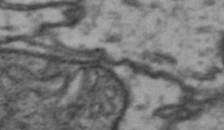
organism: Drosophila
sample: Brain